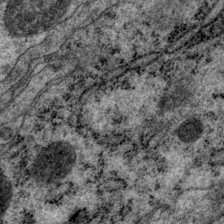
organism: P. pacificus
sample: Pharynx